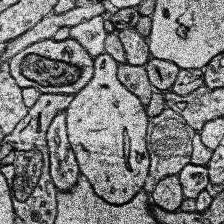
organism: Human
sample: Temporal Lobe